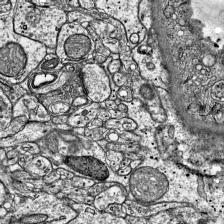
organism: Mouse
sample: Visual Cortex